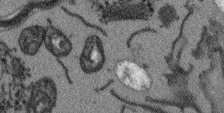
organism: Arabidopsis thaliana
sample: Root tip